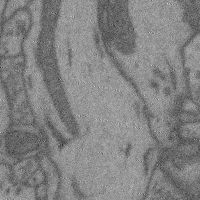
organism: Mouse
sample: Cerebral cortex